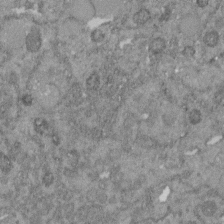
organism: C. elegans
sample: C. elegans embryo early stage